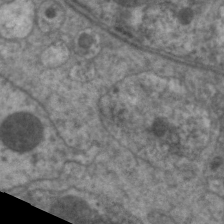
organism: C. elegans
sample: Pharynx